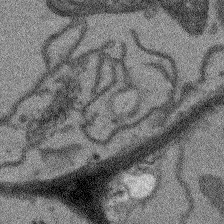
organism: Arabidopsis thaliana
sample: Root tip